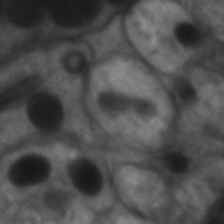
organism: C. elegans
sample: Pharynx